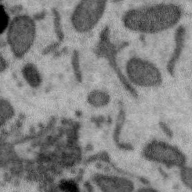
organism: Zebra finch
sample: Brain